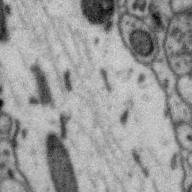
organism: Zebra finch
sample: Brain